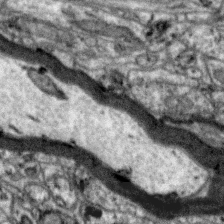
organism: Zebra finch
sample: Brain